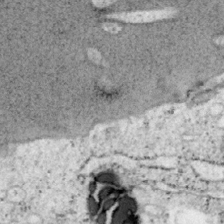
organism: Mouse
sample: OT-I killer T cells with ID8 ovarian cancer cells